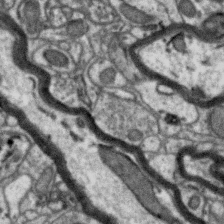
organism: Zebra finch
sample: Brain